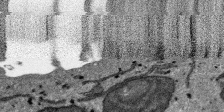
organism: Human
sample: Lung epithelial cells, uninfected (mock) control